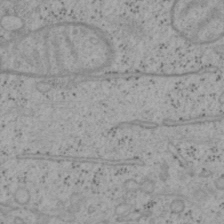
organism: Human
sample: HeLa cells